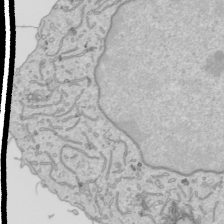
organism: Human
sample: Mitochondria in HCT116 cells